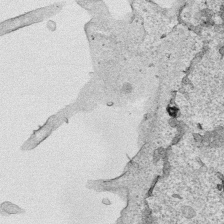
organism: Human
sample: Mitochondria in HCT116 cells